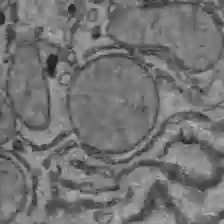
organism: C57BL Mouse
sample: Liver